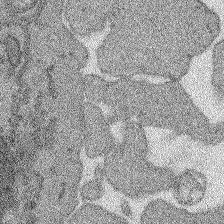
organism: Human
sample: HeLa cells